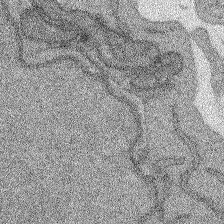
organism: Human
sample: HeLa cells